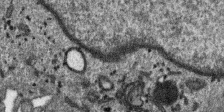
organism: Human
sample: Lung epithelial cells infected with SARS-CoV-2